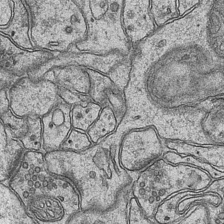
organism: Mouse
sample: CA1 Hippocampus